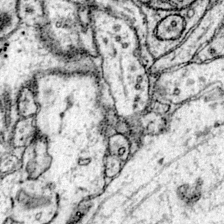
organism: Mouse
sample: Primary visual cortex